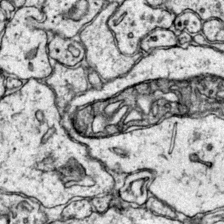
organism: Mouse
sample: Primary visual cortex